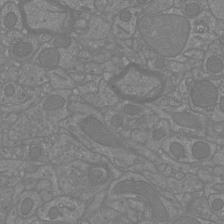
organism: Mouse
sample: Cortical neurons